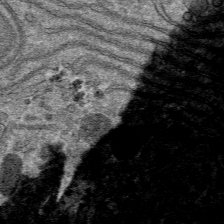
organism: Mouse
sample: Mouse hepatocytes